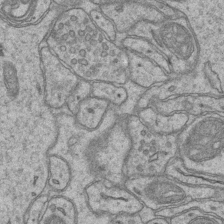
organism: Mouse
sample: CA1 Hippocampus